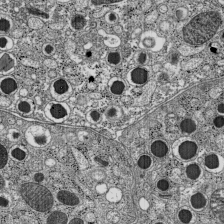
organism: C57BL Mouse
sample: Pancreatic islet